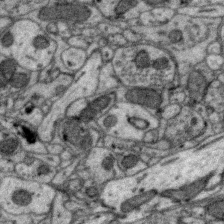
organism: Zebra finch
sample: Brain